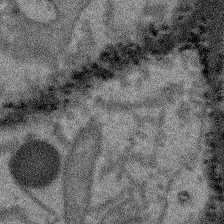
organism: Arabidopsis thaliana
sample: Root tip